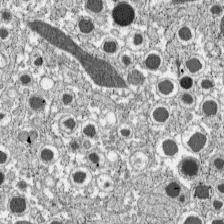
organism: C57BL Mouse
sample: Pancreatic islet